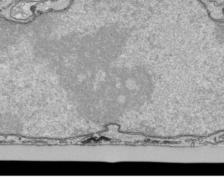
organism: Human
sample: Mitochondria in HCT116 cells